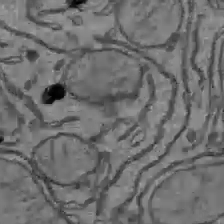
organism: C57BL Mouse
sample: Liver